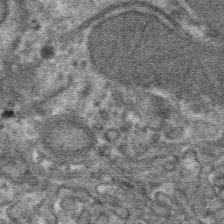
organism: Mouse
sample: Mouse hepatocytes